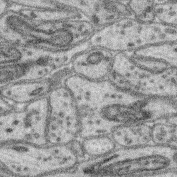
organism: Mouse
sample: Retina